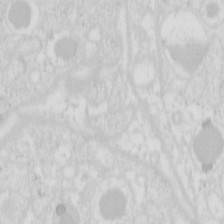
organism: Mouse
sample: Pancreas